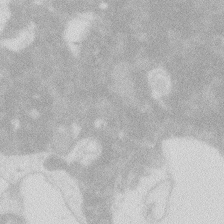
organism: Zebrafish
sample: Macrophage